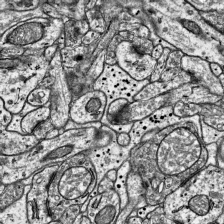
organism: Mouse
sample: Visual Cortex